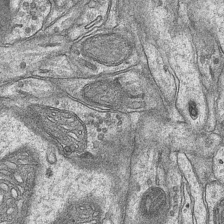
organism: Mouse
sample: CA1 Hippocampus